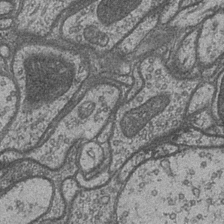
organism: Drosophila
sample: Optic medulla